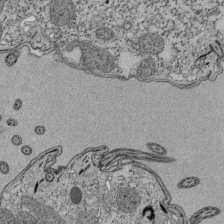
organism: Tetrahymena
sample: Cilia in tetrahymena